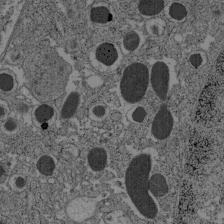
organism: C57BL Mouse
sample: Pancreatic islet